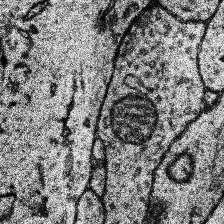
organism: Human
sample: Temporal Lobe